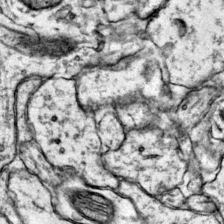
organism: Mouse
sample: Primary visual cortex